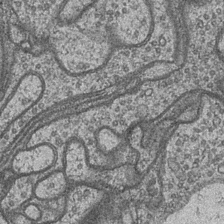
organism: Drosophila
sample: Optic medulla